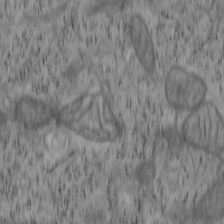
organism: Human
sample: HeLa cells